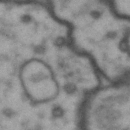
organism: Drosophila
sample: Brain